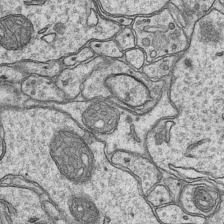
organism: Mouse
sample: CA1 Hippocampus